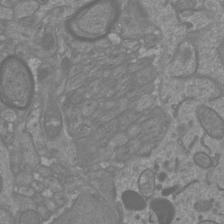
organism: Mouse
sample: Cortical neurons